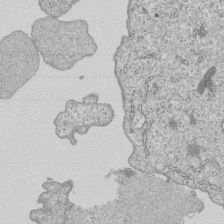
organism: Human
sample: MDA-MB-231 cells